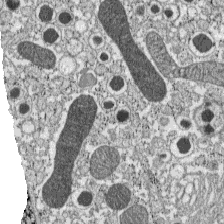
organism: C57BL Mouse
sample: Pancreatic islet